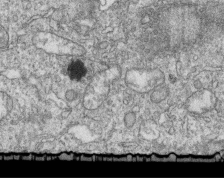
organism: Human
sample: HeLa cell HIV synapse